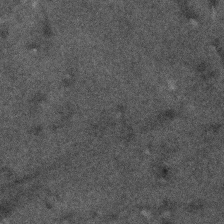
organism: Human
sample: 1205lu cells